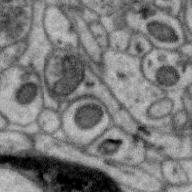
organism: Zebra finch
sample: Brain